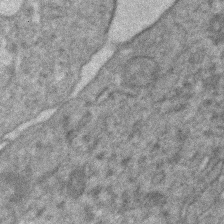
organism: Human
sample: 1205lu cells